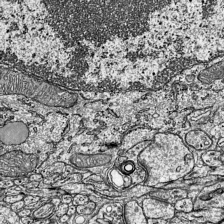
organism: Mouse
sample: Visual Cortex